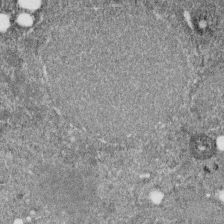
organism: C. elegans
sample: C. elegans embryo early stage